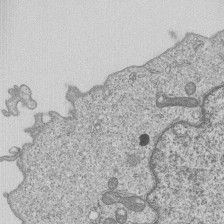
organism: Human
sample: MDA-MB-231 cells